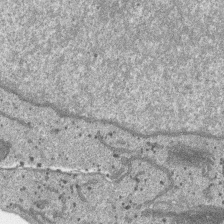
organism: Human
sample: Lung epithelial cells infected with SARS-CoV-2